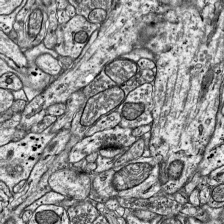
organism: Mouse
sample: Visual Cortex